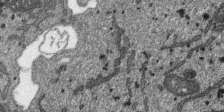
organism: Human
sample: Lung epithelial cells infected with SARS-CoV-2